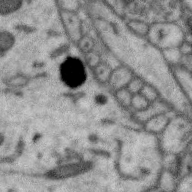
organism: Zebra finch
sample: Brain